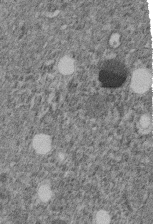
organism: C. elegans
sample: C. elegans embryo early stage